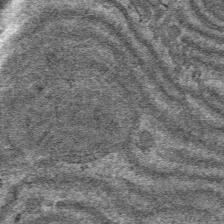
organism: Mouse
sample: Mouse hepatocytes